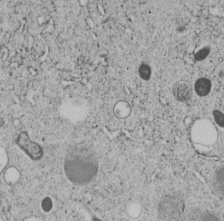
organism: C. elegans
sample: C. elegans embryo early stage